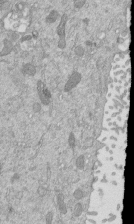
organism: Mouse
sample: ED-1 cell nuclei; centrioles